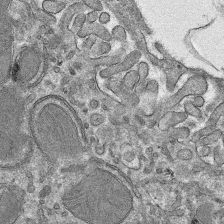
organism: Mouse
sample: Mouse hepatocytes